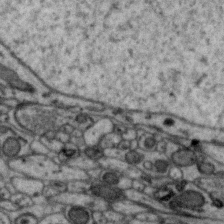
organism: Zebra finch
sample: Brain